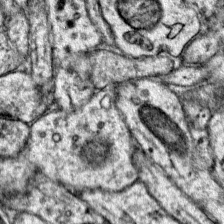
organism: Mouse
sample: Primary visual cortex